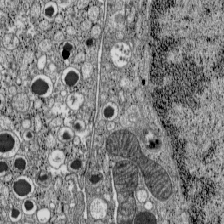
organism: C57BL Mouse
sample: Pancreatic islet